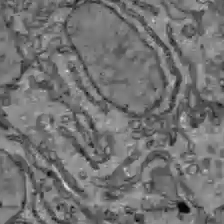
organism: C57BL Mouse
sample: Liver